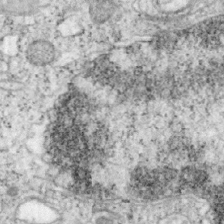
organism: Mouse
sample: OT-I killer T cells with ID8 ovarian cancer cells